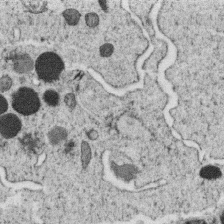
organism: C. elegans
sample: C. elegans oocyte; sperm cells